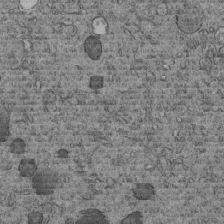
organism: C. elegans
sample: C. elegans embryo early stage